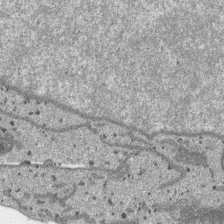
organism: Human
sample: Lung epithelial cells infected with SARS-CoV-2